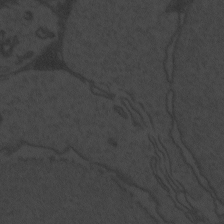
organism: Zebrafish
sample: Macrophage infected with Toxoplasma gondii